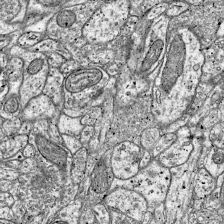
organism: Mouse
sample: Visual Cortex